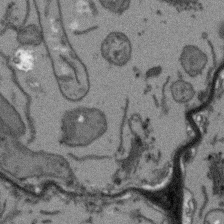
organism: Arabidopsis thaliana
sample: Root tip